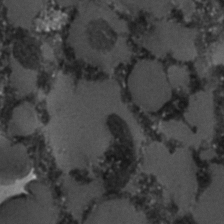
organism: C. elegans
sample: C. elegans embryo